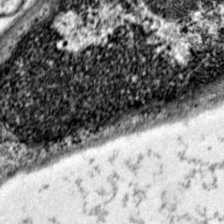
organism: Mouse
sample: Primary visual cortex